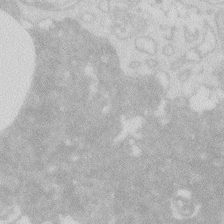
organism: Zebrafish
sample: Macrophage